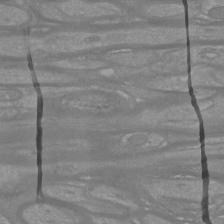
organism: Mouse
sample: Cortical neurons